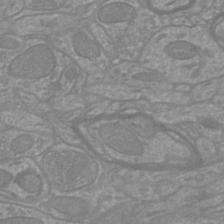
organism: Mouse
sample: Cortical neurons